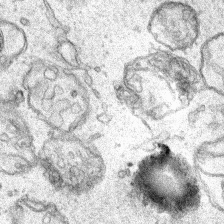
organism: Human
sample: Mitochondria in HCT116 cells